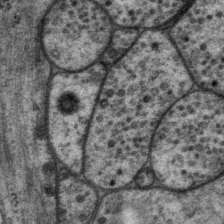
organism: P. pacificus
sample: Pharynx